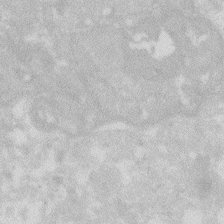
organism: Zebrafish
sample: Macrophage